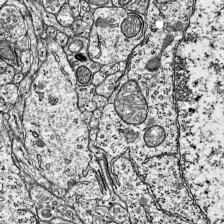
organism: Mouse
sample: Visual Cortex